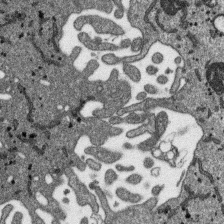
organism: Human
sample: Lung epithelial cells infected with SARS-CoV-2